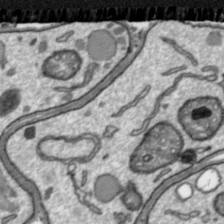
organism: Toxoplasma gondii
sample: Parasites in a vacuole inside a host cell